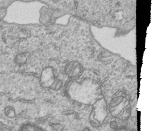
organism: Human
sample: MDA-MB-231 cells